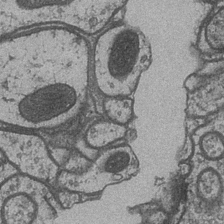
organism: Drosophila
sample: Optic medulla